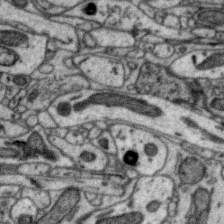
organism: Zebra finch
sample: Brain